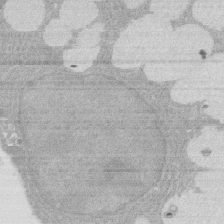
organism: Rat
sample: Salivary granule